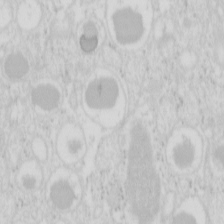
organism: Mouse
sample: Pancreas